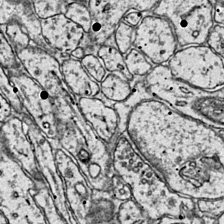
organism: Mouse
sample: Primary visual cortex